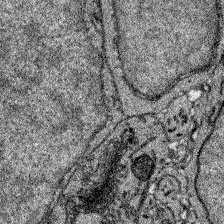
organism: Zebrafish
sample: Larval olfactory bulb